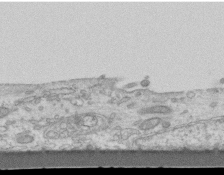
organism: Mouse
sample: Centriole in ependymal cells